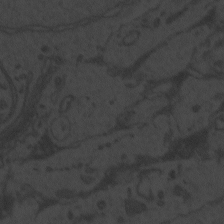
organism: Zebrafish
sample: Macrophage infected with Toxoplasma gondii